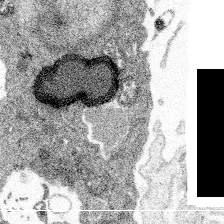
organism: Spongilla lacustris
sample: Multiple